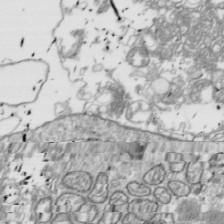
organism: Drosophila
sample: Cell division; meiosis; drosophila spermatocytes